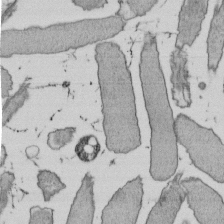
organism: E. coli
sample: Bacterial nucleoid